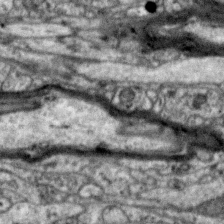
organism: Zebra finch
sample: Brain